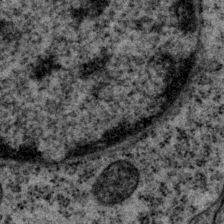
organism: P. pacificus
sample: Pharynx